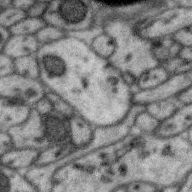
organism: Zebra finch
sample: Brain